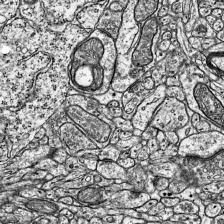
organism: Mouse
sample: Visual Cortex